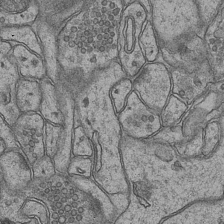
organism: Mouse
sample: CA1 Hippocampus